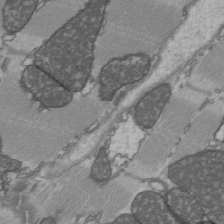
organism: C57BL Mouse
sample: Heart